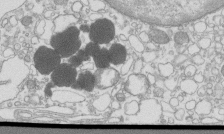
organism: Mouse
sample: Macrophages